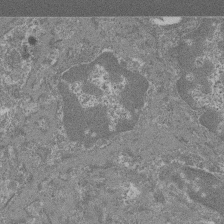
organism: Mouse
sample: Glomerulus